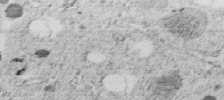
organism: C. elegans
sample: C. elegans embryo early stage